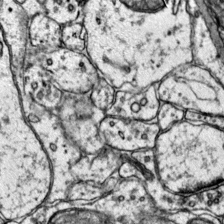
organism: Mouse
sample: Primary visual cortex